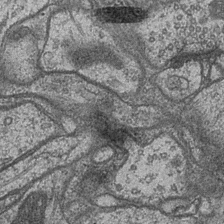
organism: Drosophila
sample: Optic medulla